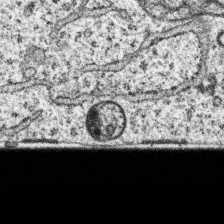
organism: Human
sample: HeLa cells